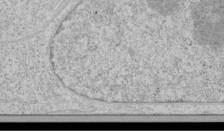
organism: Human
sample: Mitochondria in HCT116 cells